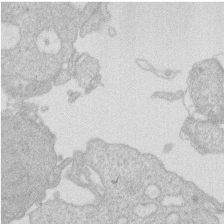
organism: Human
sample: Macrophage cells